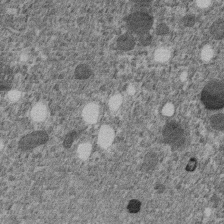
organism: C. elegans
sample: C. elegans embryo early stage